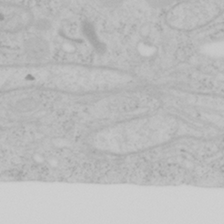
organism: Mouse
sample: OT-I killer T cells with ID8 ovarian cancer cells